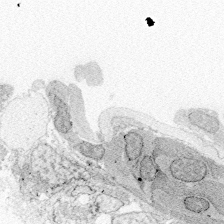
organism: Zebrafish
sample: Whole-Brain